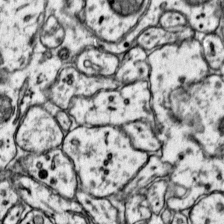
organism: Mouse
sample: Primary visual cortex